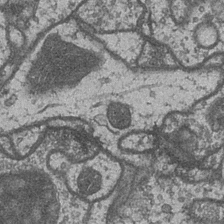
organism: Drosophila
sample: Optic medulla